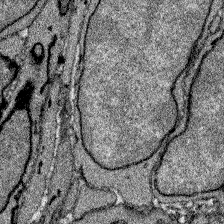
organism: Zebrafish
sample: Larval olfactory bulb